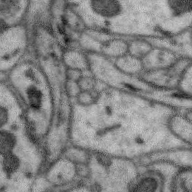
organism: Zebra finch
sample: Brain